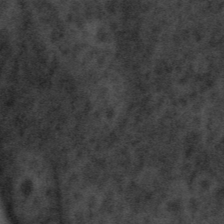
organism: Tuwongella immobilis